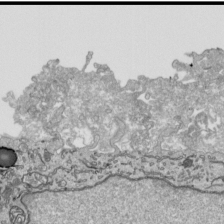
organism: Human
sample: Mitochondria in HCT116 cells